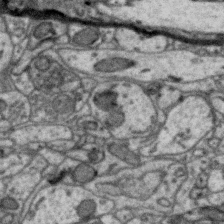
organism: Zebra finch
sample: Brain